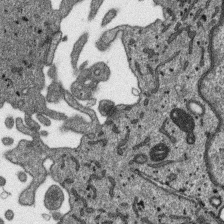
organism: Human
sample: Lung epithelial cells infected with SARS-CoV-2